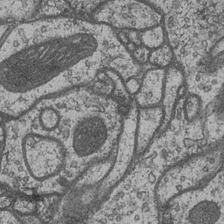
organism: Drosophila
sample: Optic medulla